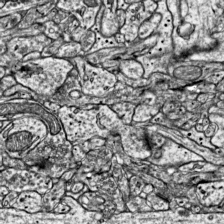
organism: Mouse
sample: Visual Cortex